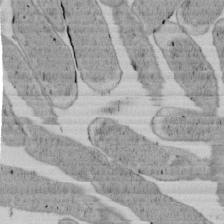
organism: E. coli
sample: Bacterial nucleoid